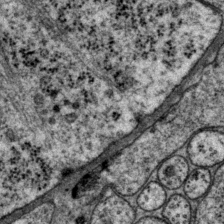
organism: P. pacificus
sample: Pharynx